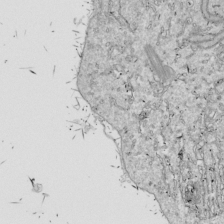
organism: Drosophila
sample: Cell division; meiosis; drosophila spermatocytes